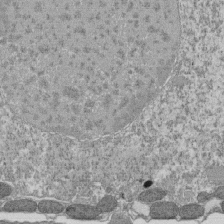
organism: Tetrahymena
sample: Cilia in tetrahymena